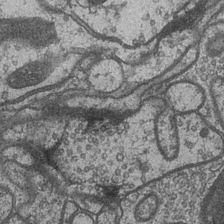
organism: Drosophila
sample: Optic medulla